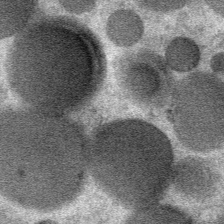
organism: Mouse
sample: Mouse Salivary gland